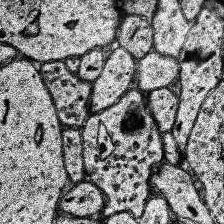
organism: Human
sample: Temporal Lobe